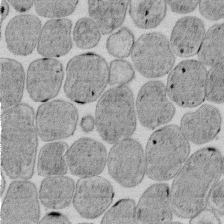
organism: E. coli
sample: Bacterial nucleoid